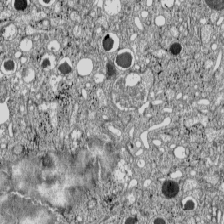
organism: C57BL Mouse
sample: Pancreatic islet